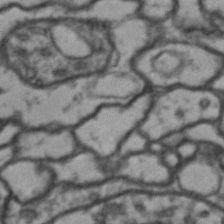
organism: Drosophila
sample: Brain